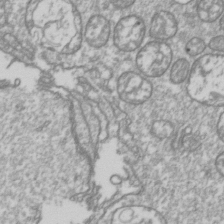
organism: Drosophila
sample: Cell division; meiosis; drosophila spermatocytes